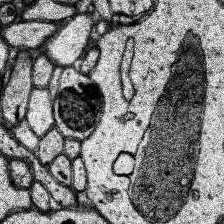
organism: Human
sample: Temporal Lobe